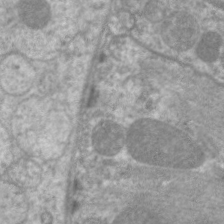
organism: C. elegans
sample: Pharynx